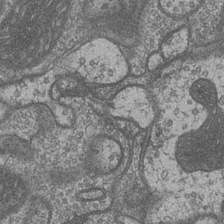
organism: Drosophila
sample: Optic medulla